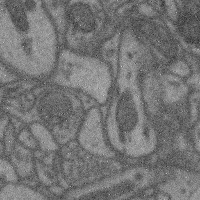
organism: Mouse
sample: Cerebral cortex